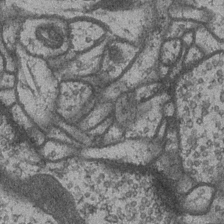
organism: Drosophila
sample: Optic medulla